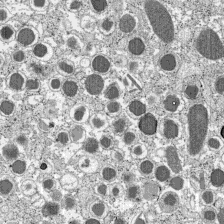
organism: C57BL Mouse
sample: Pancreatic islet